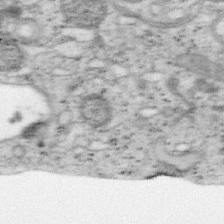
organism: Mouse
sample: OT-I killer T cells with ID8 ovarian cancer cells